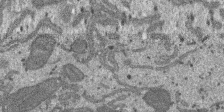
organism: Human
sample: Lung epithelial cells infected with SARS-CoV-2